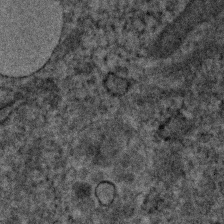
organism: Human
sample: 1205lu cells